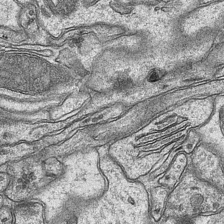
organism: Mouse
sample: CA1 Hippocampus